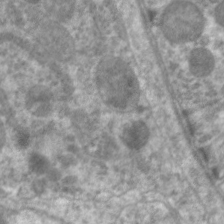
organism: C. elegans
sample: Pharynx